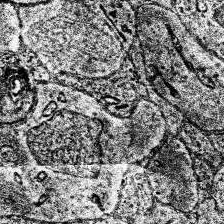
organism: Human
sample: Temporal Lobe